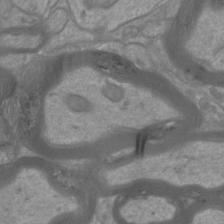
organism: Mouse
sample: Cortical neurons